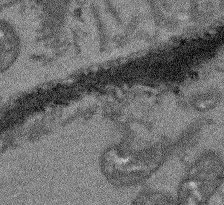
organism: Arabidopsis thaliana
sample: Root tip